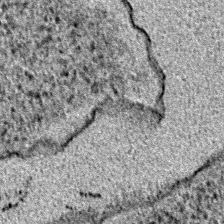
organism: E. coli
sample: E. Coli Bacteria